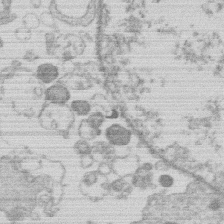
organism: Human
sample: Macrophage cells